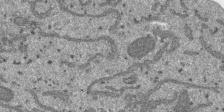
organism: Human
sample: Lung epithelial cells infected with SARS-CoV-2